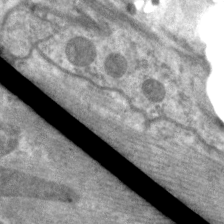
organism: C. elegans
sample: Pharynx